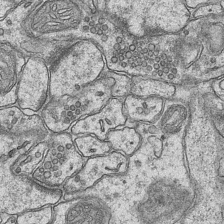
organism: Mouse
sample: CA1 Hippocampus